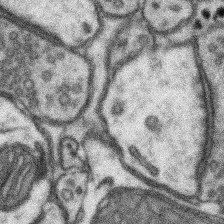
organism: Mouse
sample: Somatosensory cortex neuropil